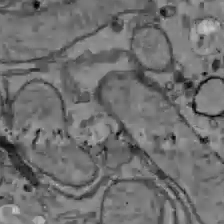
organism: C57BL Mouse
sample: Liver